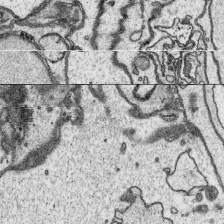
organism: Platynereis dumerilii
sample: Parapodia